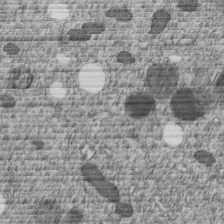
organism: C. elegans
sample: C. elegans embryo early stage